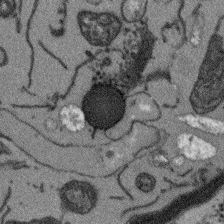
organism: Arabidopsis thaliana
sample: Root tip